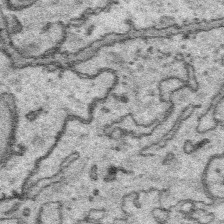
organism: Platynereis dumerilii